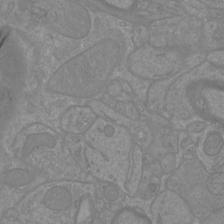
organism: Mouse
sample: Cortical neurons